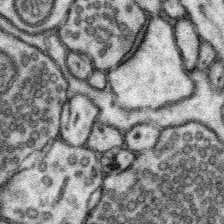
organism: Mouse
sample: Somatosensory cortex neuropil